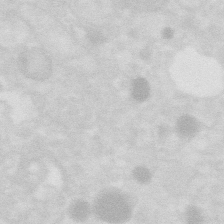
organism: Human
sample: HeLa cells